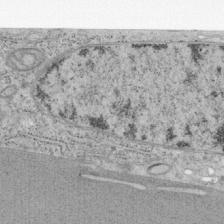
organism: Human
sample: HeLa cells